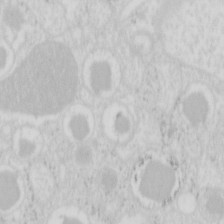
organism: Mouse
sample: Pancreas